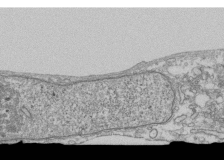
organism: Human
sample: Fibroblast cells